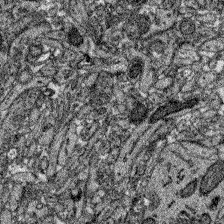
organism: Zebrafish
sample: Larval olfactory bulb